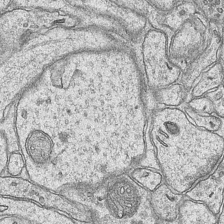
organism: Mouse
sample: CA1 Hippocampus